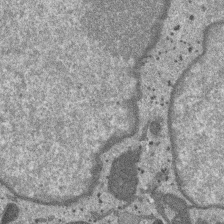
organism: Human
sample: Lung epithelial cells infected with SARS-CoV-2